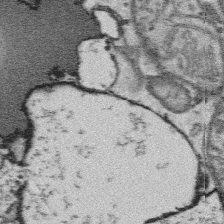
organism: Platynereis dumerilii